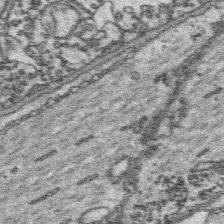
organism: Platynereis dumerilii